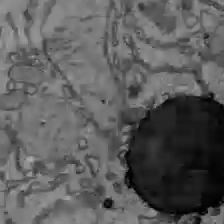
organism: C57BL Mouse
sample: Liver